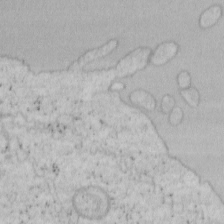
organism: Human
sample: HeLa cells